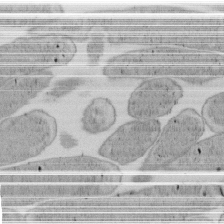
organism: E. coli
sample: Bacterial nucleoid